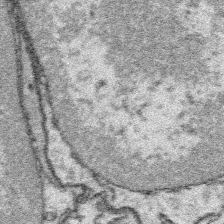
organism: Platynereis dumerilii